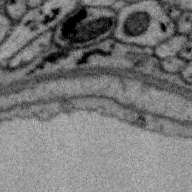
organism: Zebra finch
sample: Brain